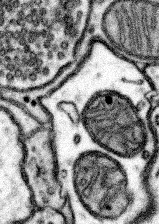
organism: Mouse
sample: Somatosensory cortex neuropil